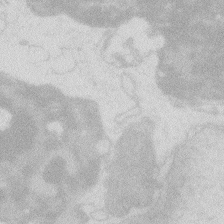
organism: Zebrafish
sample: Macrophage